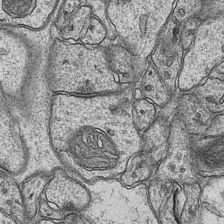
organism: Mouse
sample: CA1 Hippocampus